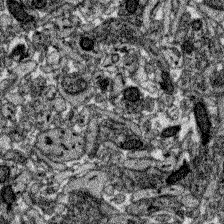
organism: Zebrafish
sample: Larval olfactory bulb